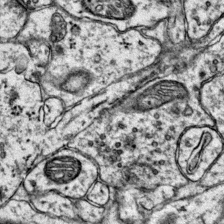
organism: Mouse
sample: Primary visual cortex